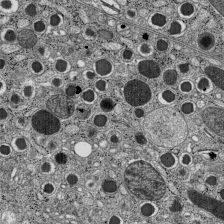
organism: C57BL Mouse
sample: Pancreatic islet